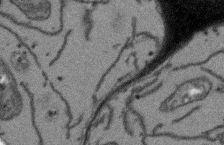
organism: Arabidopsis thaliana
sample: Root tip